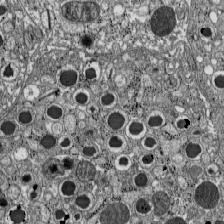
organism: C57BL Mouse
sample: Pancreatic islet